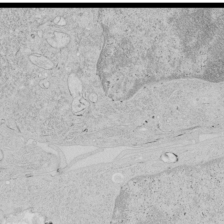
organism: Human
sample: Mitochondria in HCT116 cells